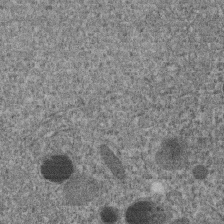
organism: C. elegans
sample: C. elegans embryo early stage